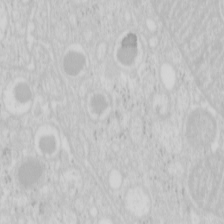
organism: Mouse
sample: Pancreas